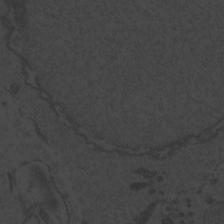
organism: Zebrafish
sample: Macrophage infected with Toxoplasma gondii